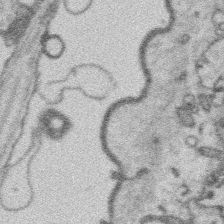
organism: Platynereis dumerilii